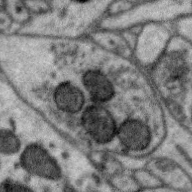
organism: Zebra finch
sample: Brain